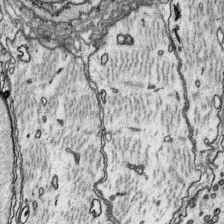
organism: Platynereis dumerilii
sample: Parapodia